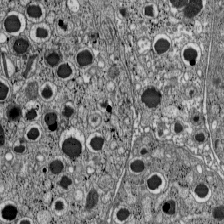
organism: C57BL Mouse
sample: Pancreatic islet